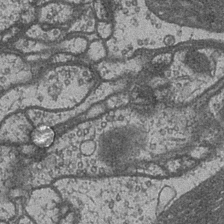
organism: Drosophila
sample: Optic medulla